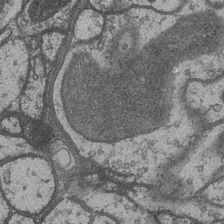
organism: Drosophila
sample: Optic medulla